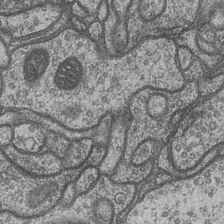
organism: Drosophila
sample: Optic medulla